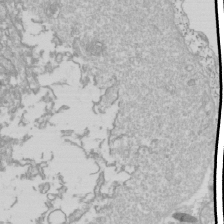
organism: Drosophila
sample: Cell division; meiosis; drosophila spermatocytes